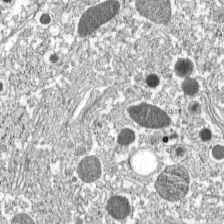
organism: C57BL Mouse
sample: Pancreatic islet